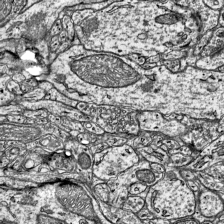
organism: Mouse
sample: Visual Cortex